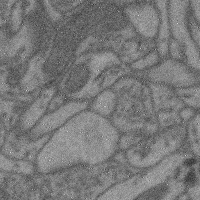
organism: Mouse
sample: Cerebral cortex